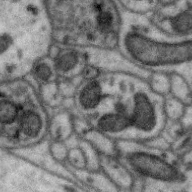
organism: Zebra finch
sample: Brain